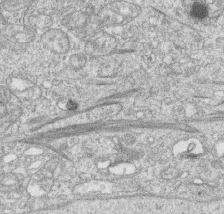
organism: Human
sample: HeLa cell HIV synapse